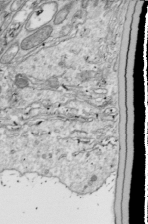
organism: Drosophila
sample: Cell division; meiosis; drosophila spermatocytes